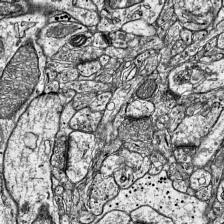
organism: Mouse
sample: Visual Cortex